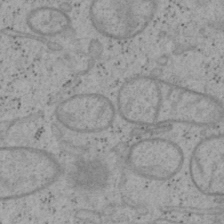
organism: Human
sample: HeLa cells